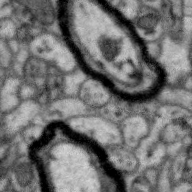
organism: Zebra finch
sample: Brain